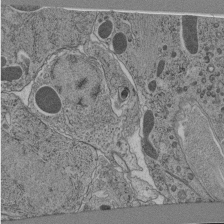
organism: C. elegans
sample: C. elegans pharynx